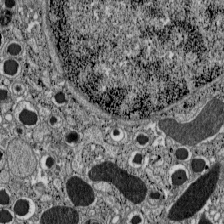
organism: C57BL Mouse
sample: Pancreatic islet